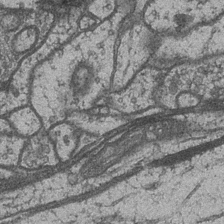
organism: Drosophila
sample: Optic medulla